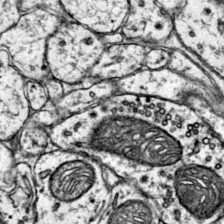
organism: Mouse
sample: Primary visual cortex